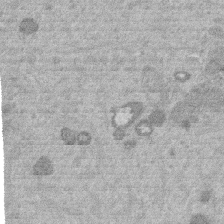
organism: Mouse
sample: Dividing mouse embryo 1 cell stage